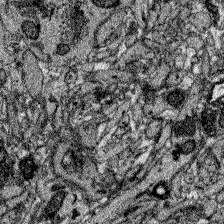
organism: Zebrafish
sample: Larval olfactory bulb